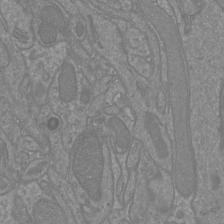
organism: Mouse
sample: Cortical neurons